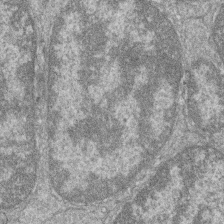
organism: Zebrafish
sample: Cilia; retinal pigment epithelium